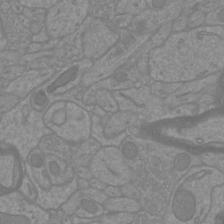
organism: Mouse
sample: Cortical neurons